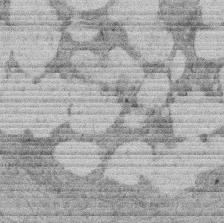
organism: Rat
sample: Salivary granule